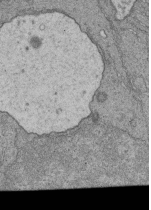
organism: Human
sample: Retinal organoid Rod and Cone cells